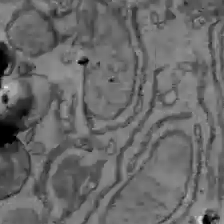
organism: C57BL Mouse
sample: Liver